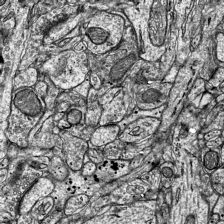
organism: Mouse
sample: Visual Cortex